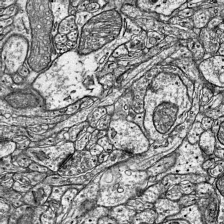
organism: Mouse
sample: Visual Cortex